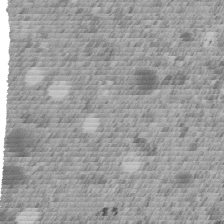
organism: C. elegans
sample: C. elegans embryo early stage